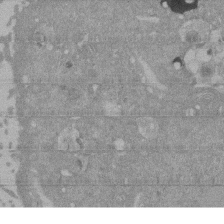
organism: Mouse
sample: ED-1 cell nuclei; centrioles